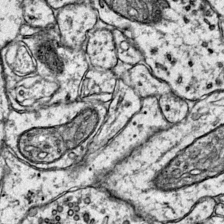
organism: Mouse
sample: Primary visual cortex